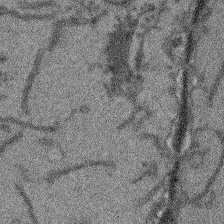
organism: Arabidopsis thaliana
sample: Root tip